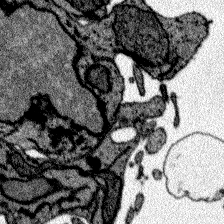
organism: Zebrafish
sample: Larval olfactory bulb